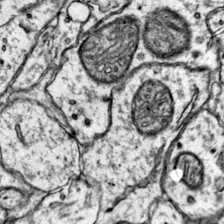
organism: Mouse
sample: Primary visual cortex